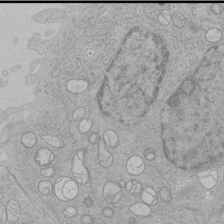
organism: Human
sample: Mitochondria in HCT116 cells